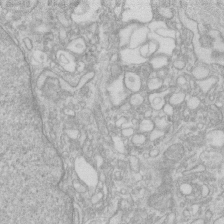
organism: Human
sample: Fibroblast cells